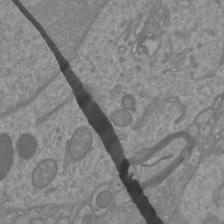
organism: Mouse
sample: Cortical neurons